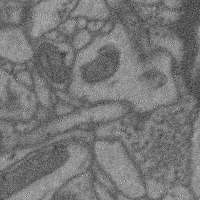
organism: Mouse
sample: Cerebral cortex